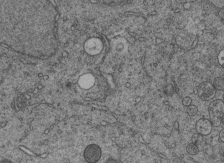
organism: C. elegans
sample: C. elegans embryo early stage